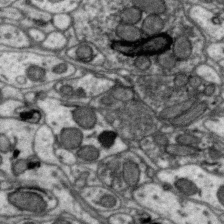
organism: Zebra finch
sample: Brain